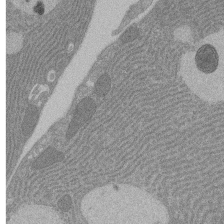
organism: Rat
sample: Salivary granule